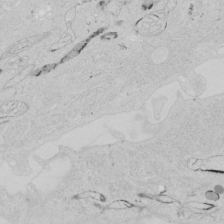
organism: Human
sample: Mitochondria in HCT116 cells